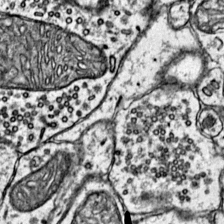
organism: Mouse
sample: Primary visual cortex